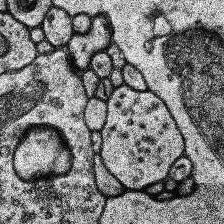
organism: Human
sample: Temporal Lobe